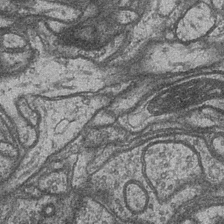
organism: Drosophila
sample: Optic medulla